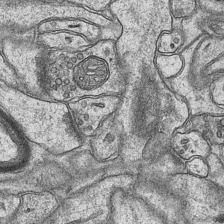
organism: Mouse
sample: CA1 Hippocampus